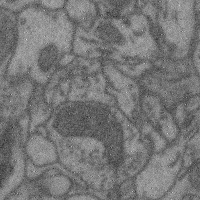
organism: Mouse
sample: Cerebral cortex